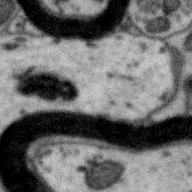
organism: Zebra finch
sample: Brain